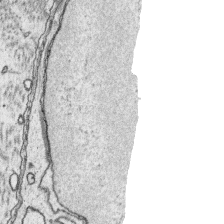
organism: Platynereis dumerilii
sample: Parapodia